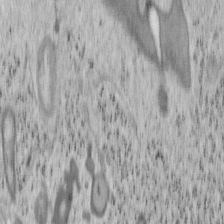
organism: Human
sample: HeLa cells